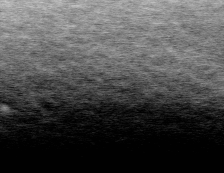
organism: Human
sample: HeLa cells